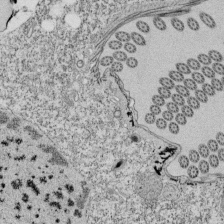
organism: Tetrahymena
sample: Cilia in tetrahymena